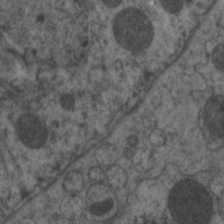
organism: C. elegans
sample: Pharynx